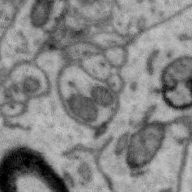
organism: Zebra finch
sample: Brain